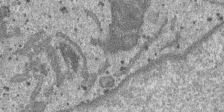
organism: Human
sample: Lung epithelial cells infected with SARS-CoV-2